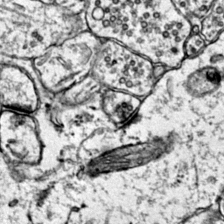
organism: Mouse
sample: Primary visual cortex